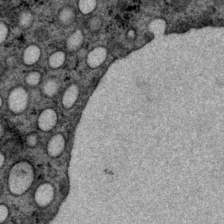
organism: P. pacificus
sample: Pharynx